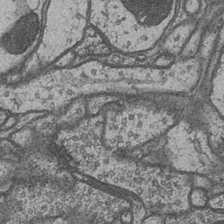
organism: Drosophila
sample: Optic medulla